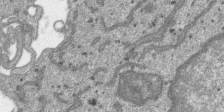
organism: Human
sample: Lung epithelial cells infected with SARS-CoV-2